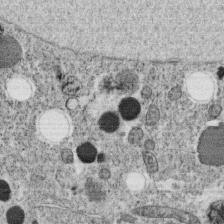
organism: C. elegans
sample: C. elegans oocyte; sperm cells